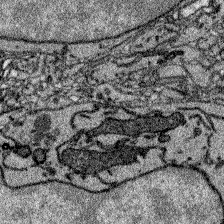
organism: Zebrafish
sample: Larval olfactory bulb